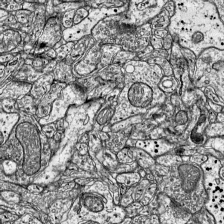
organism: Mouse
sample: Visual Cortex